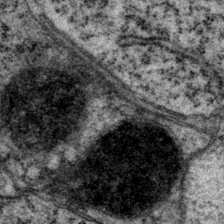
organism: P. pacificus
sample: Pharynx